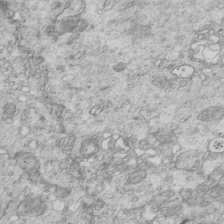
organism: Mouse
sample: Multiciliated cells